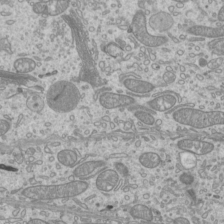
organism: Mouse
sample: Cilia; mouse epididymis